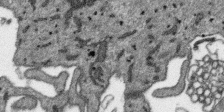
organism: Human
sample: Lung epithelial cells, uninfected (mock) control